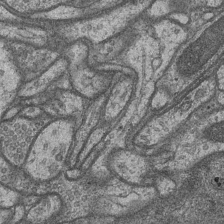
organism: Drosophila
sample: Optic medulla